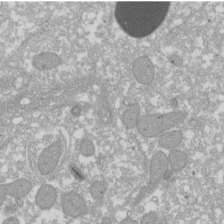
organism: Xenopus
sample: Cilia; centrioles in frog embryo cells